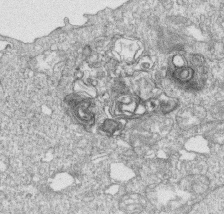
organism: Human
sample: HeLa cell HIV synapse